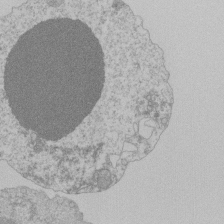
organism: Mouse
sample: Activated Pmel transgenic CD8+ T Cells